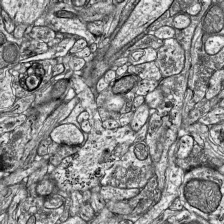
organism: Mouse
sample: Visual Cortex